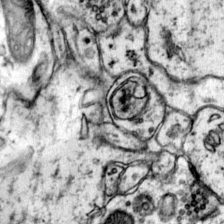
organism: Mouse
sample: Primary visual cortex